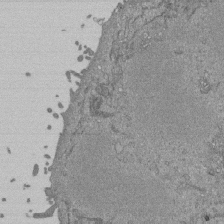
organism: Mouse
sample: ED-1 cell nuclei; centrioles